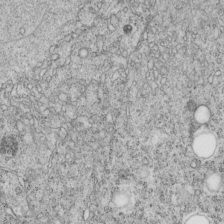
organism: C. elegans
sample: C. elegans embryo early stage